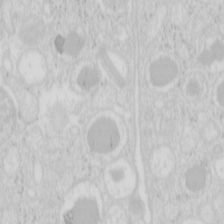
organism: Mouse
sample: Pancreas